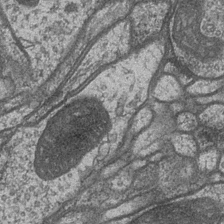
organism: Drosophila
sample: Optic medulla